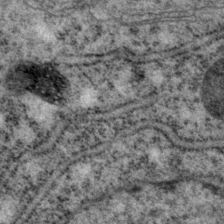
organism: P. pacificus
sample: Pharynx